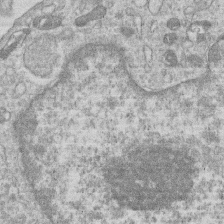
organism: Human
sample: Macrophage cells